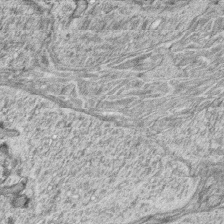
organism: Zebrafish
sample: synaptic ribbons in rod cells and cone cells